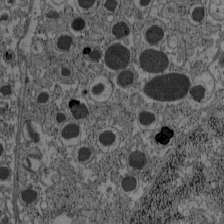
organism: C57BL Mouse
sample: Pancreatic islet